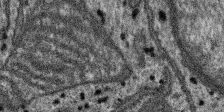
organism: Human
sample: Lung epithelial cells infected with SARS-CoV-2